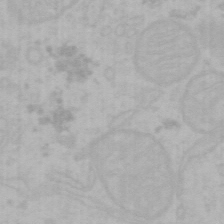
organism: Mouse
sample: Choroid plexus